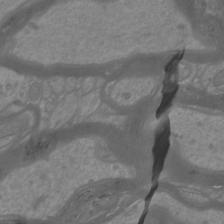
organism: Mouse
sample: Cortical neurons